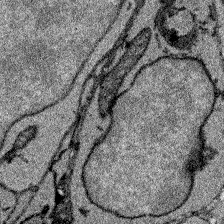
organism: Zebrafish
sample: Larval olfactory bulb